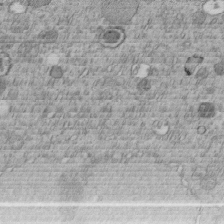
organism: C. elegans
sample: C. elegans embryo early stage